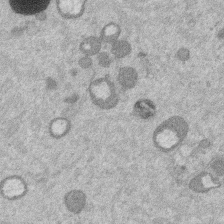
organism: Mouse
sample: Dividing mouse embryo 1 cell stage